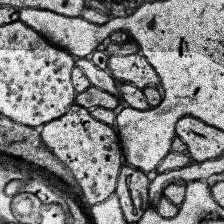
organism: Human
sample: Temporal Lobe